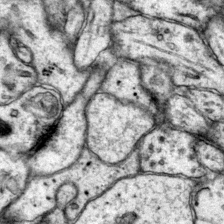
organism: Mouse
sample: Primary visual cortex